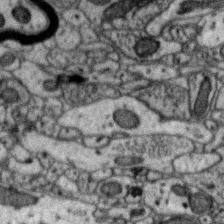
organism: Zebra finch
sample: Brain